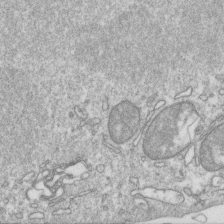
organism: Mouse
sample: Activated OT-1 CD8+ T cells